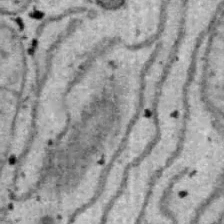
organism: Mouse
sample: Liver from an obese (ob/ob) mouse